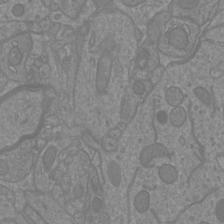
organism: Mouse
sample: Cortical neurons